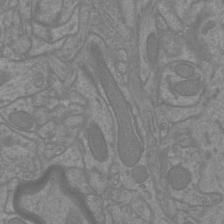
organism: Mouse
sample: Cortical neurons